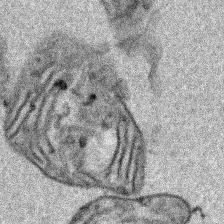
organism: Human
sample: Mitochondria in HCT116 cells